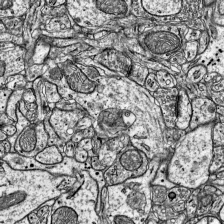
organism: Mouse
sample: Visual Cortex